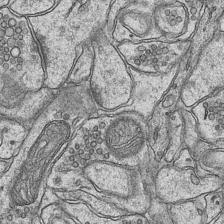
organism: Mouse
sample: CA1 Hippocampus